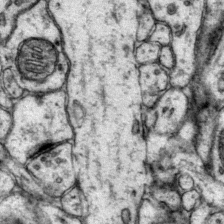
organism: Mouse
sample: Primary visual cortex